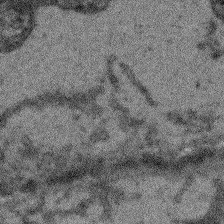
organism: Arabidopsis thaliana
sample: Root tip